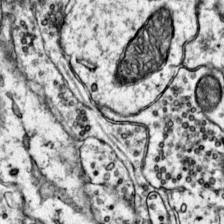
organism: Mouse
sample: Primary visual cortex